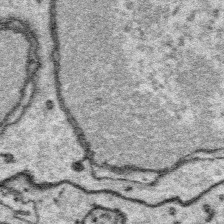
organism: Platynereis dumerilii